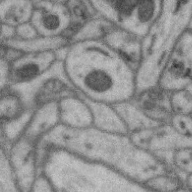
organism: Zebra finch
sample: Brain